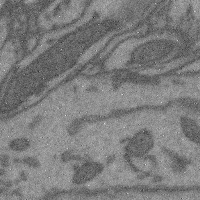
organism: Mouse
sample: Cerebral cortex